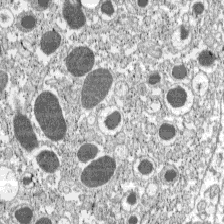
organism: C57BL Mouse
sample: Pancreatic islet